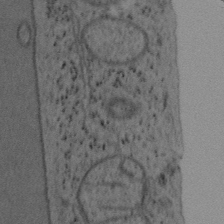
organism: Human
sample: HeLa cells